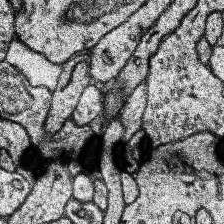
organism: Human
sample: Temporal Lobe